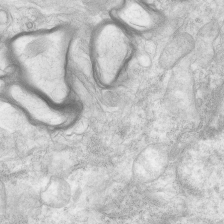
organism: Human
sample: Neocortex